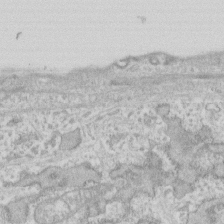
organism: Human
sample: Fibroblast cells